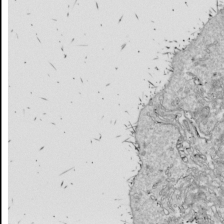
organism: Drosophila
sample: Cell division; meiosis; drosophila spermatocytes